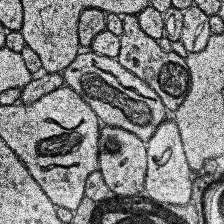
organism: Human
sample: Temporal Lobe